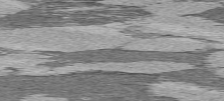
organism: C57BL Mouse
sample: Heart